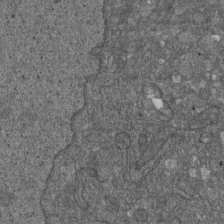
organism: Drosophila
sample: Nephrocyte